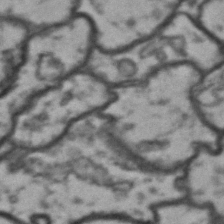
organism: Drosophila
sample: Brain